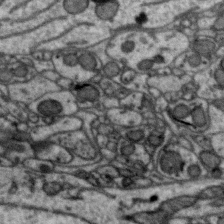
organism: Zebra finch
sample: Brain